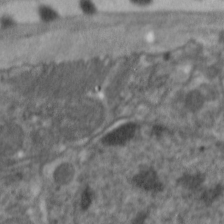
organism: C. elegans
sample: Pharynx